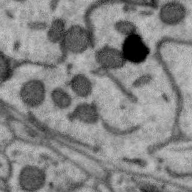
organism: Zebra finch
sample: Brain